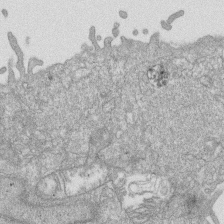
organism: Human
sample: HeLa cell HIV synapse